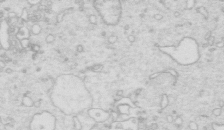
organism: Mouse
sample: Multiciliated cells